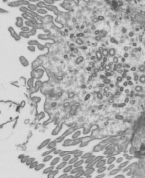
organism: Mouse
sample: Mouse epididymis efferent ductule cilia